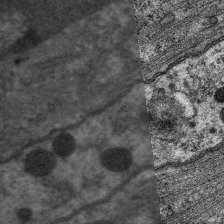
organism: C. elegans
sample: Pharynx